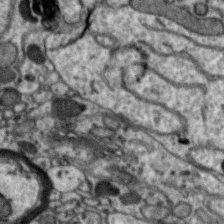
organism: Zebra finch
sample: Brain